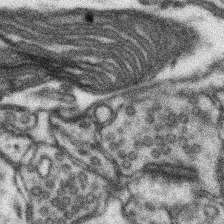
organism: Mouse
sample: Somatosensory cortex neuropil